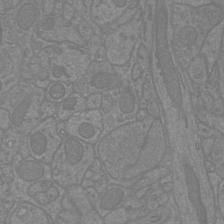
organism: Mouse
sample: Cortical neurons